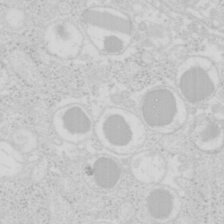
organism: Mouse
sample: Pancreas